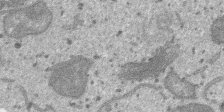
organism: Human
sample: Lung epithelial cells infected with SARS-CoV-2